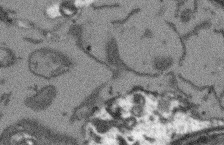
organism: Arabidopsis thaliana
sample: Root tip